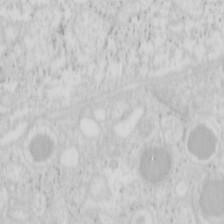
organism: Mouse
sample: Pancreas